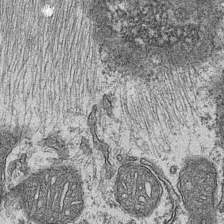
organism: Mouse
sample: CA1 Hippocampus